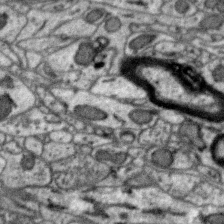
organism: Zebra finch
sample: Brain